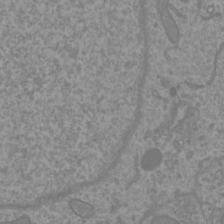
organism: Mouse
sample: Cortical neurons